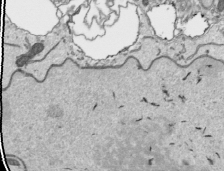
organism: Human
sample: Mitochondria in HCT116 cells